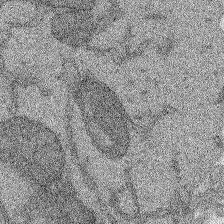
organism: Human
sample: HeLa cells